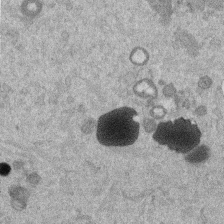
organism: Mouse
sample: Dividing mouse embryo 1 cell stage